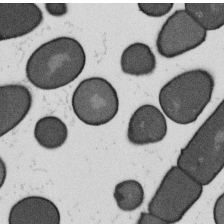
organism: B. subtilis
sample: Bacterial spore